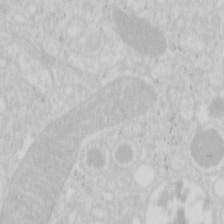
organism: Mouse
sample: Pancreas